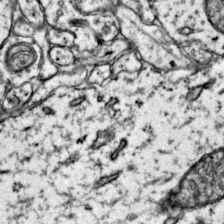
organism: Mouse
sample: Primary visual cortex